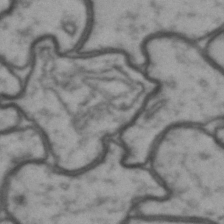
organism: Drosophila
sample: Brain